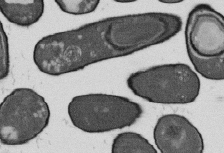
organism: B. subtilis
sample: Bacterial spore